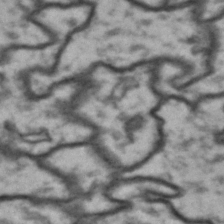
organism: Drosophila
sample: Brain